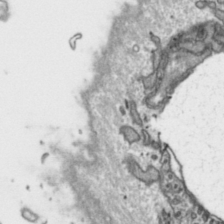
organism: Toxoplasma gondii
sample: Parasites in a vacuole inside a host cell